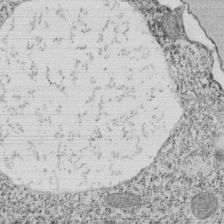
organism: Tetrahymena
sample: Cilia in tetrahymena